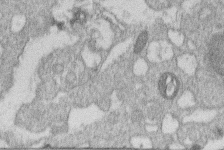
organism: Human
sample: Macrophage cells